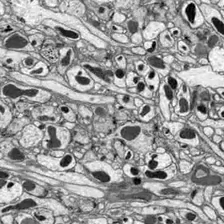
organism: Drosophila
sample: Optic lobe